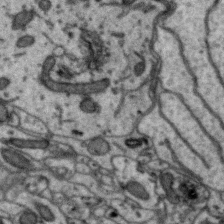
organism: Zebra finch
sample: Brain